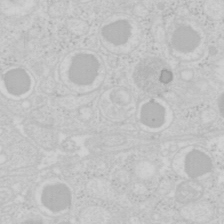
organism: Mouse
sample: Pancreas